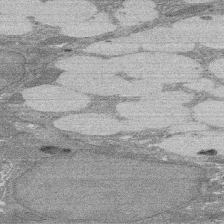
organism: Rat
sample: Salivary granule